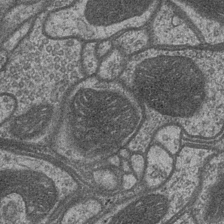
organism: Drosophila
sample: Optic medulla